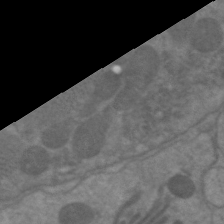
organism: C. elegans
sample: Pharynx